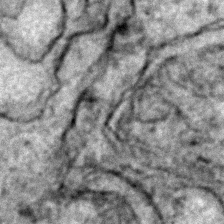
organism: Zebrafish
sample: Zebrafish embryo